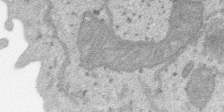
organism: Human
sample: Lung epithelial cells infected with SARS-CoV-2